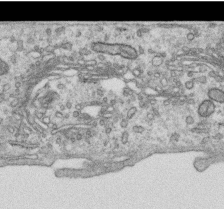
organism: Human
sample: Centriole in RPE cells